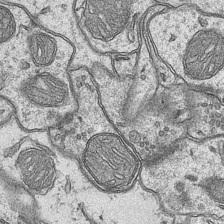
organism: Mouse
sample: CA1 Hippocampus